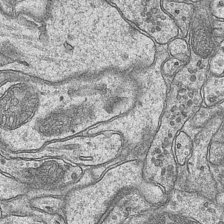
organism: Mouse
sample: CA1 Hippocampus